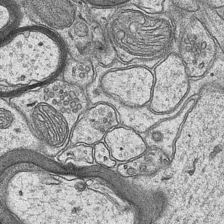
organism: Mouse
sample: CA1 Hippocampus